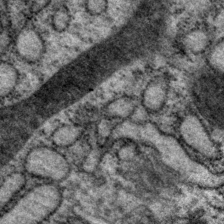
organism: P. pacificus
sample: Pharynx